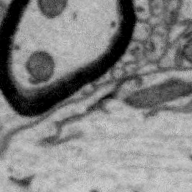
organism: Zebra finch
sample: Brain